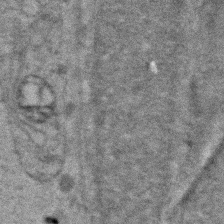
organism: Zebrafish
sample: Zebrafish embryo